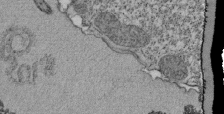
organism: Tetrahymena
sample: Cilia in tetrahymena